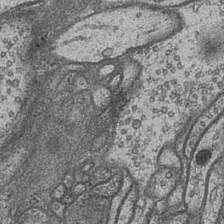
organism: Drosophila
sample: Optic medulla